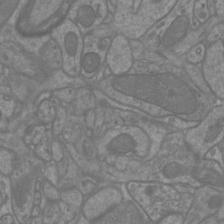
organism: Mouse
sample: Cortical neurons